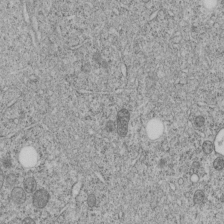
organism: C. elegans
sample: C. elegans embryo early stage